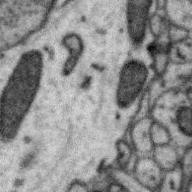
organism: Zebra finch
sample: Brain